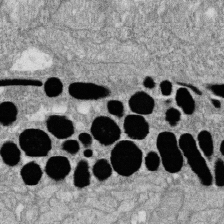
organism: Zebrafish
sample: Cilia; retinal pigment epithelium